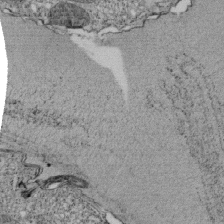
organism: Tetrahymena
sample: Cilia in tetrahymena